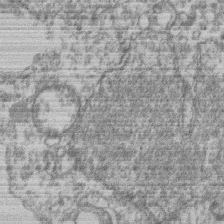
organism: Mouse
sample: T cell stromal cell synapse